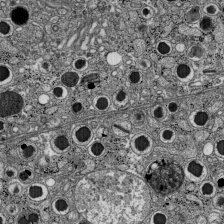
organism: C57BL Mouse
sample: Pancreatic islet